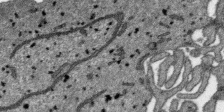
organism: Human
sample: Lung epithelial cells, uninfected (mock) control